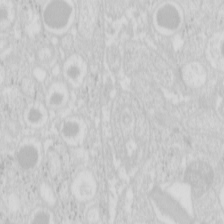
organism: Mouse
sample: Pancreas